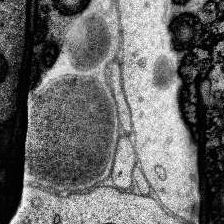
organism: Human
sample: Temporal Lobe